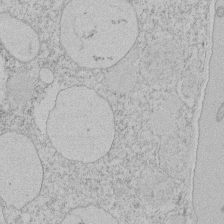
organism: Tetrahymena